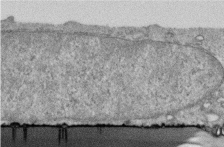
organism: Human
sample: Centriole in RPE cells